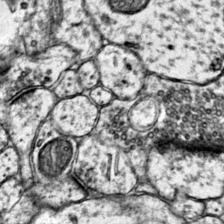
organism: Mouse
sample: Primary visual cortex